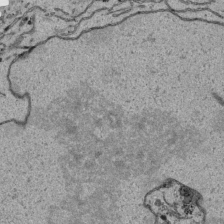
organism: Human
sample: Mitochondria in HCT116 cells